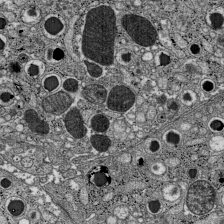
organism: C57BL Mouse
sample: Pancreatic islet